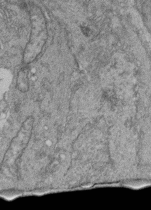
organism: Human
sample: Retinal organoid Rod and Cone cells